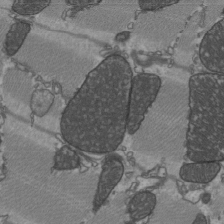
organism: C57BL Mouse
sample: Heart